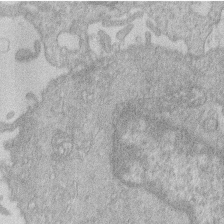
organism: Human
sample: Macrophage cells